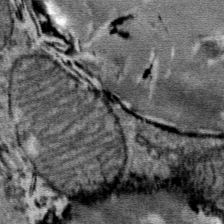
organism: Mouse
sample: Mouse Salivary gland